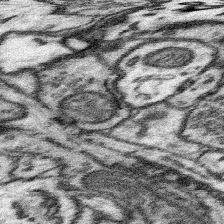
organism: Mouse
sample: Somatosensory cortex neuropil